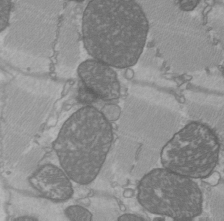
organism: C57BL Mouse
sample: Heart